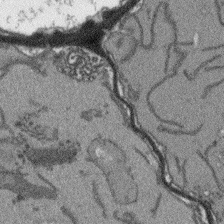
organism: Arabidopsis thaliana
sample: Root tip